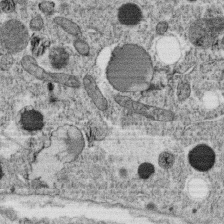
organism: C. elegans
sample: C. elegans oocyte; sperm cells